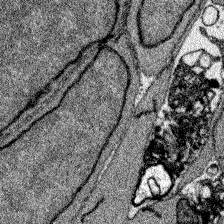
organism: Zebrafish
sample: Larval olfactory bulb